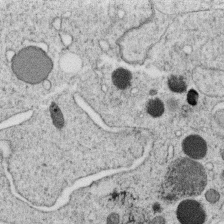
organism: C. elegans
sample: C. elegans oocyte; sperm cells